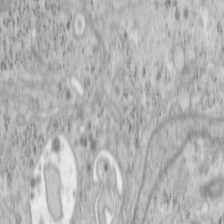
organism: Human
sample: HeLa cells